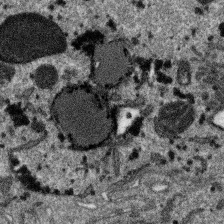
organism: Human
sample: Lung epithelial cells infected with SARS-CoV-2